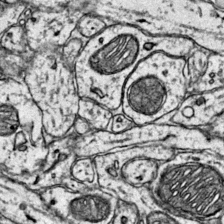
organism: Mouse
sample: Primary visual cortex